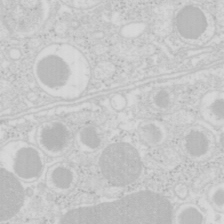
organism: Mouse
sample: Pancreas